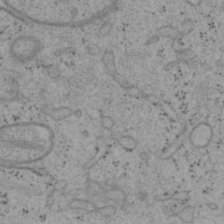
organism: Human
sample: HeLa cells